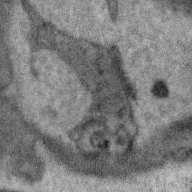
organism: Zebra finch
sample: Brain